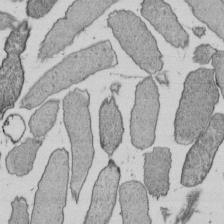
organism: E. coli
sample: Bacterial nucleoid